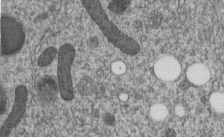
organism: C. elegans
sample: C. elegans embryo early stage